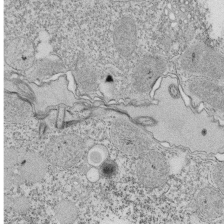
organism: Tetrahymena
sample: Cilia in tetrahymena